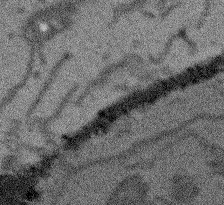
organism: Arabidopsis thaliana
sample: Root tip